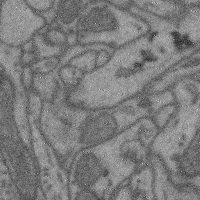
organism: Mouse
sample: Cerebral cortex